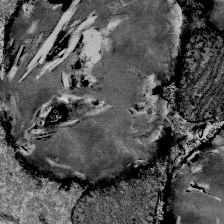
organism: Mouse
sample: Mouse Salivary gland